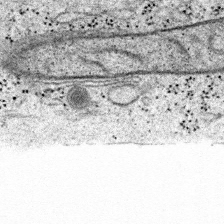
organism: Human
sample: HeLa cells